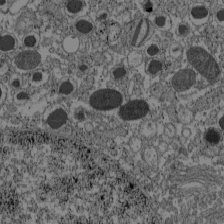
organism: C57BL Mouse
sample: Pancreatic islet